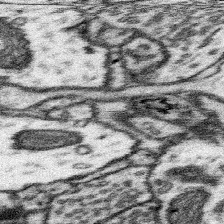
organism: Mouse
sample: Somatosensory cortex neuropil